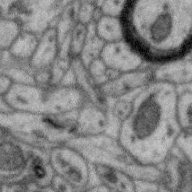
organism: Zebra finch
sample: Brain